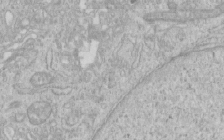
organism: Human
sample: Centriole in RPE cells